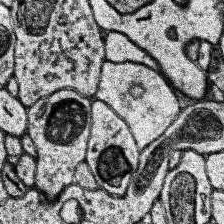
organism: Human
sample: Temporal Lobe